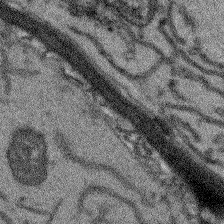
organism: Arabidopsis thaliana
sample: Root tip